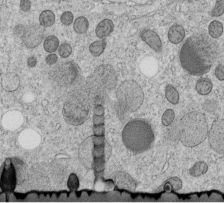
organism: C. elegans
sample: C. elegans embryo early stage